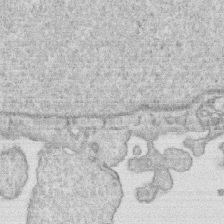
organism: Human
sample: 1205lu cells